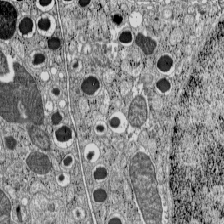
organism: C57BL Mouse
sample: Pancreatic islet